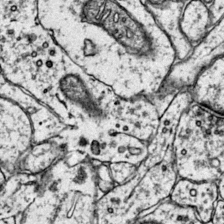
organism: Mouse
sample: Primary visual cortex